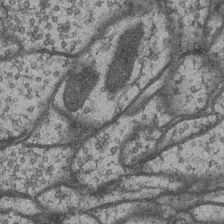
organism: Drosophila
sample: Optic medulla